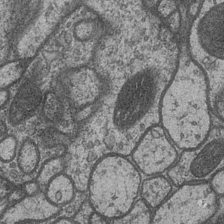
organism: Drosophila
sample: Optic medulla